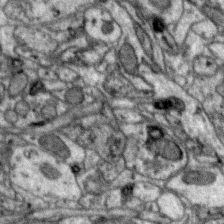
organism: Zebra finch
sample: Brain